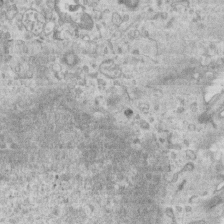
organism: Mouse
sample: Centriole in ependymal cells